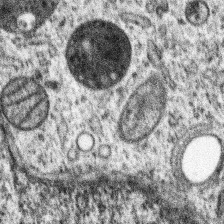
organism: Human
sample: HeLa cells